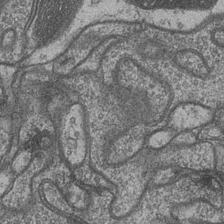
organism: Drosophila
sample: Optic medulla